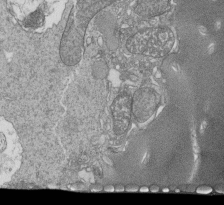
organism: Tetrahymena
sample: Cilia in tetrahymena